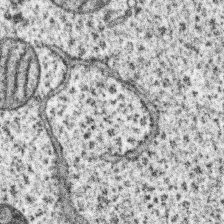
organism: Human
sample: HeLa cells